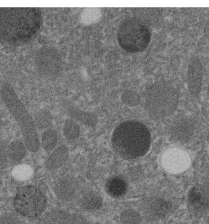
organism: C. elegans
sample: C. elegans embryo early stage